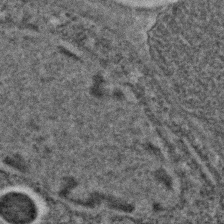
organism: C. elegans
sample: C. elegans embryo